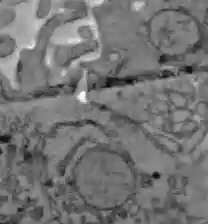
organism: C57BL Mouse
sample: Liver